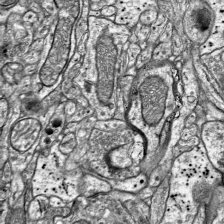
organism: Mouse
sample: Visual Cortex